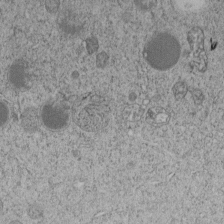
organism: C. elegans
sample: C. elegans embryo early stage